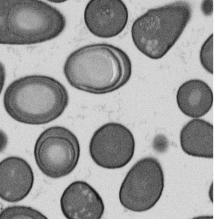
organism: B. subtilis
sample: Bacterial spore